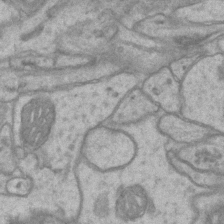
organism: Mouse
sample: CA1 Hippocampus